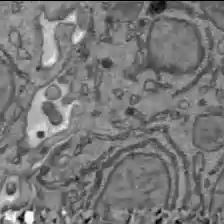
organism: C57BL Mouse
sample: Liver